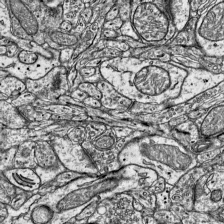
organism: Mouse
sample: Visual Cortex